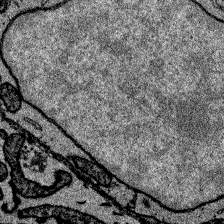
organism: Zebrafish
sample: Larval olfactory bulb